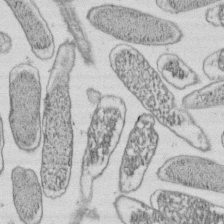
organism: E. coli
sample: Bacterial nucleoid